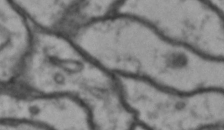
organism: Drosophila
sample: Brain